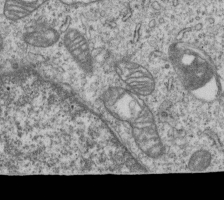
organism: Human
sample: MDA-MB-231 cells